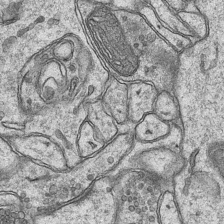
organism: Mouse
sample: CA1 Hippocampus